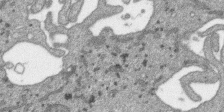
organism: Human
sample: Lung epithelial cells infected with SARS-CoV-2